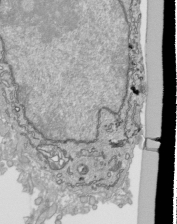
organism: Human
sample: Mitochondria in HCT116 cells